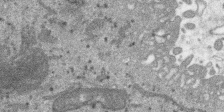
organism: Human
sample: Lung epithelial cells infected with SARS-CoV-2